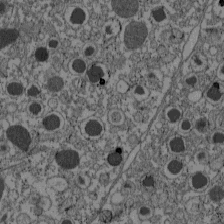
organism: C57BL Mouse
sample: Pancreatic islet